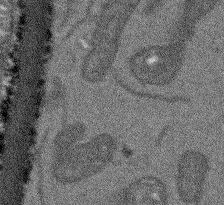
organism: Arabidopsis thaliana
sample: Root tip